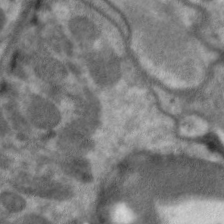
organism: C. elegans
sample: Pharynx